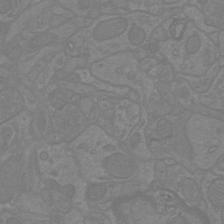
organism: Mouse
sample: Cortical neurons